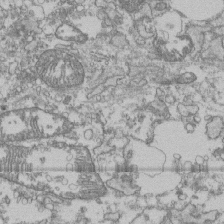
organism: Human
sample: Fibroblast cells